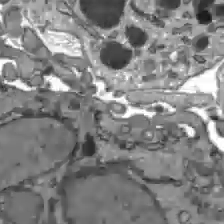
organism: C57BL Mouse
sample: Liver